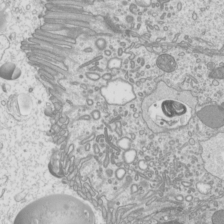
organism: Mouse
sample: Cilia; mouse epididymis